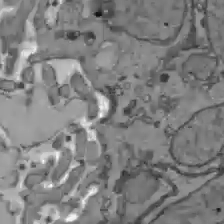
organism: C57BL Mouse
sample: Liver